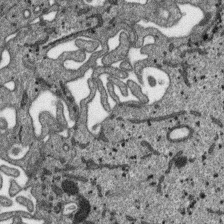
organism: Human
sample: Lung epithelial cells infected with SARS-CoV-2